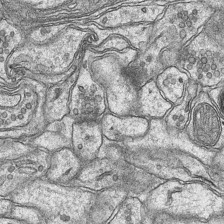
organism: Mouse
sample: CA1 Hippocampus